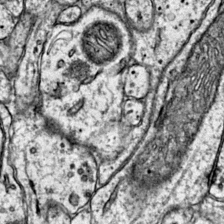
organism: Mouse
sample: Primary visual cortex